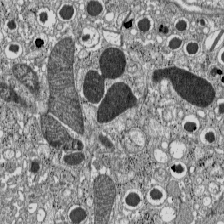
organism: C57BL Mouse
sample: Pancreatic islet